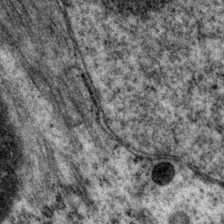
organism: P. pacificus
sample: Pharynx